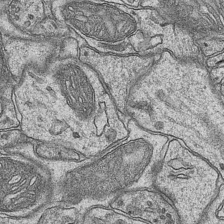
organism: Mouse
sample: CA1 Hippocampus